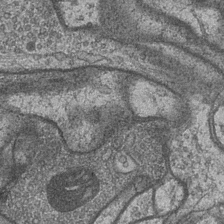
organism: Drosophila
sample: Optic medulla